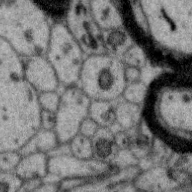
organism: Zebra finch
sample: Brain